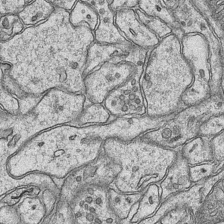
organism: Mouse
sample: CA1 Hippocampus